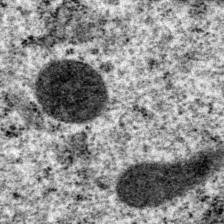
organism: P. pacificus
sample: Pharynx